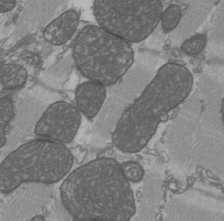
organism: C57BL Mouse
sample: Heart